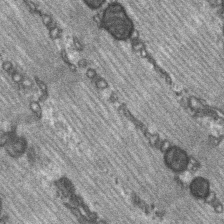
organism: C57BL Mouse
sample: Soleus